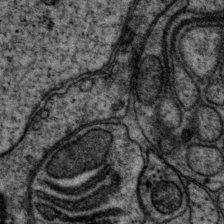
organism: P. pacificus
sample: Pharynx